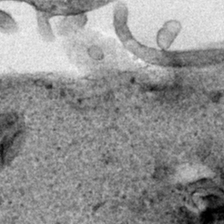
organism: Human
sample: Mitochondria in HCT116 cells